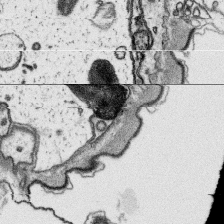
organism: Platynereis dumerilii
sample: Parapodia